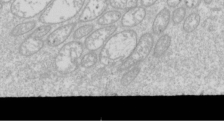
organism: Drosophila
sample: Cell division; meiosis; drosophila spermatocytes